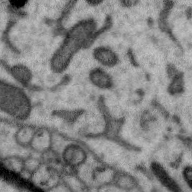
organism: Zebra finch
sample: Brain